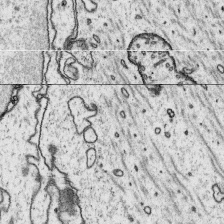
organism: Platynereis dumerilii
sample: Parapodia